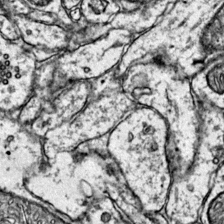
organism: Mouse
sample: Primary visual cortex